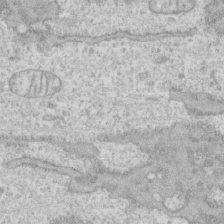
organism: Human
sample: CRL-1474